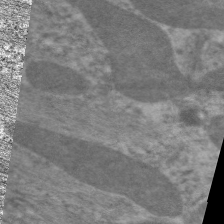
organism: C. elegans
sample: Pharynx